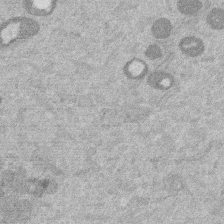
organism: Mouse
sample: Dividing mouse embryo 1 cell stage